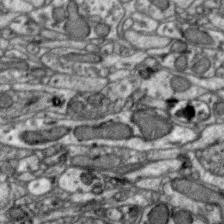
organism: Zebra finch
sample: Brain